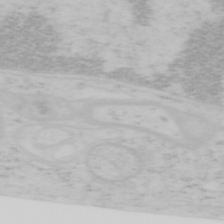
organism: Mouse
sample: OT-I killer T cells with ID8 ovarian cancer cells